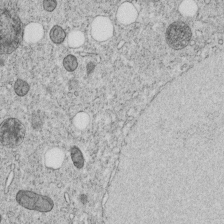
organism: C. elegans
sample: C. elegans embryo early stage